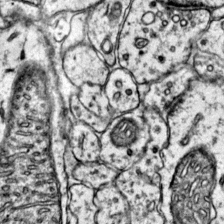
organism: Mouse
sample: Primary visual cortex